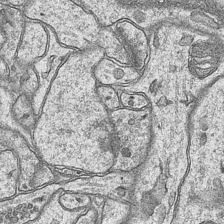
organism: Mouse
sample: CA1 Hippocampus